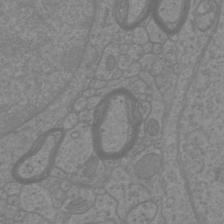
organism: Mouse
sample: Cortical neurons